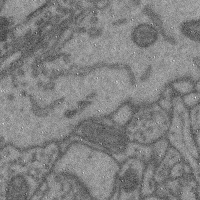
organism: Mouse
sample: Cerebral cortex